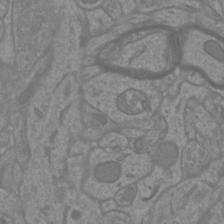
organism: Mouse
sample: Cortical neurons